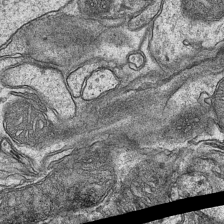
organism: Mouse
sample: CA1 Hippocampus